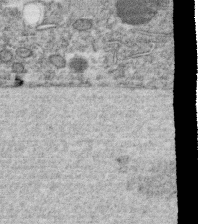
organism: C. elegans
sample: C. elegans oocyte; sperm cells